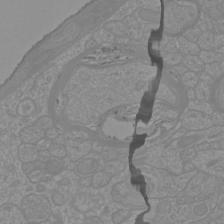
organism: Mouse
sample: Cortical neurons